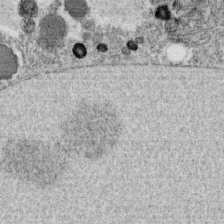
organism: C. elegans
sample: C. elegans oocyte; sperm cells